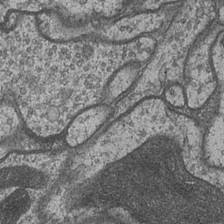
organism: Drosophila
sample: Optic medulla